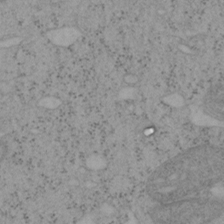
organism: Mouse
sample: OT-I killer T cells with ID8 ovarian cancer cells